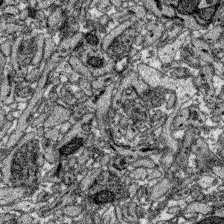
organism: Zebrafish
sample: Larval olfactory bulb